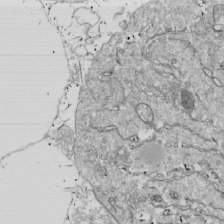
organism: Drosophila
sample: Cell division; meiosis; drosophila spermatocytes